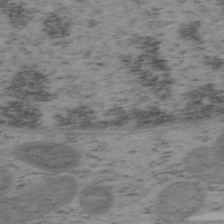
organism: Mouse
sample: OT-I killer T cells with ID8 ovarian cancer cells